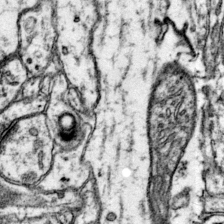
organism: Mouse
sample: Primary visual cortex